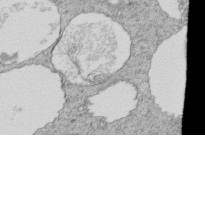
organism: Tetrahymena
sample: Cilia in tetrahymena